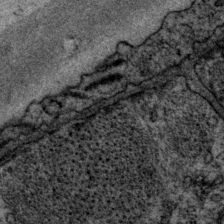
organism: P. pacificus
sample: Pharynx